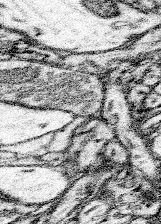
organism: Mouse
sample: Somatosensory cortex neuropil